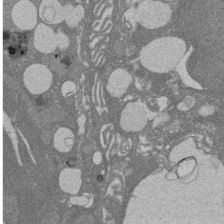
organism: Rat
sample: Salivary granule